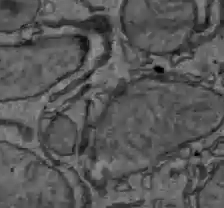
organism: C57BL Mouse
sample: Liver